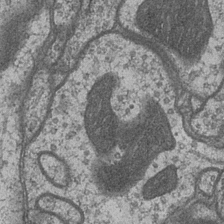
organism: Drosophila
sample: Optic medulla